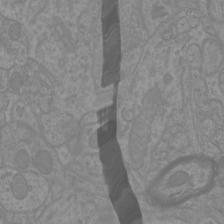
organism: Mouse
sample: Cortical neurons